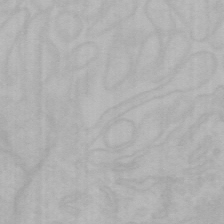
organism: Mouse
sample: Choroid plexus